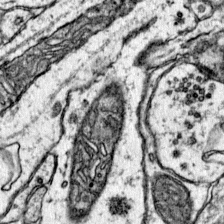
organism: Mouse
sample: Primary visual cortex